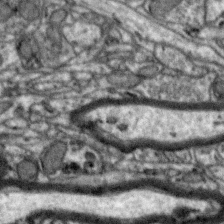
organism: Zebra finch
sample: Brain